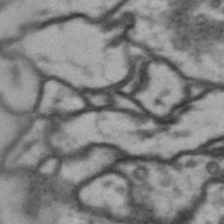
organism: Drosophila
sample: Brain